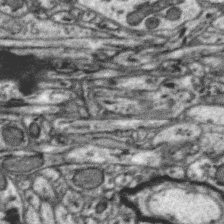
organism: Zebra finch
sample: Brain